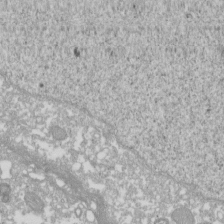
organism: Xenopus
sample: Cilia; centrioles in frog embryo cells